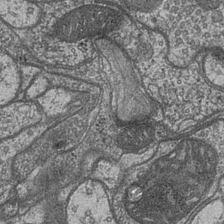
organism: Drosophila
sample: Optic medulla